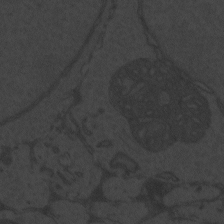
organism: Zebrafish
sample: Macrophage infected with Toxoplasma gondii